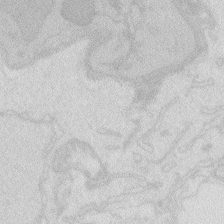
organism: Zebrafish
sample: Macrophage